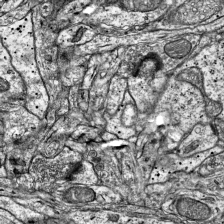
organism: Mouse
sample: Visual Cortex